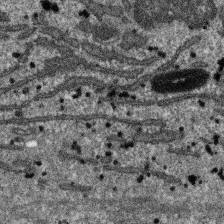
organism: Human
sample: Lung epithelial cells infected with SARS-CoV-2